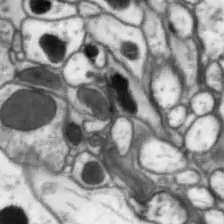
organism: Drosophila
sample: Optic lobe